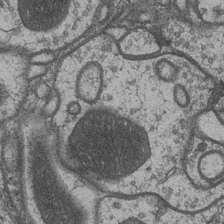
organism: Drosophila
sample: Optic medulla